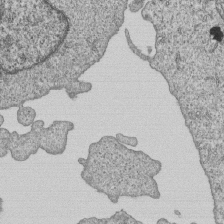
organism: Human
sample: MDA-MB-231 cells